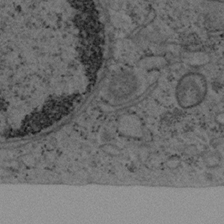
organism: Human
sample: HeLa cells